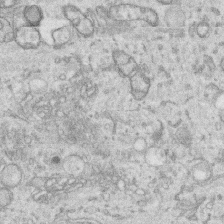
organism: Human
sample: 1205lu cells